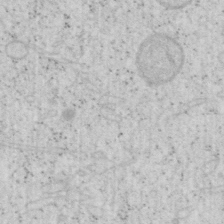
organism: Human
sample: HeLa cells